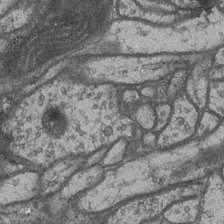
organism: Drosophila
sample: Optic medulla